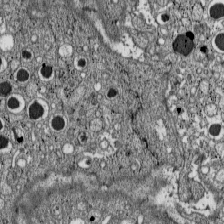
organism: C57BL Mouse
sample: Pancreatic islet